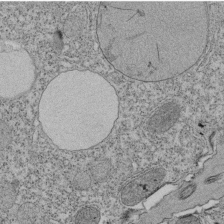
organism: Tetrahymena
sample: Cilia in tetrahymena